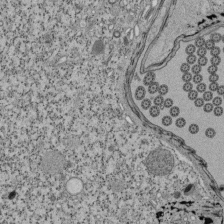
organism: Tetrahymena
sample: Cilia in tetrahymena